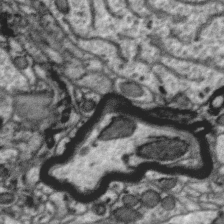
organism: Zebra finch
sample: Brain